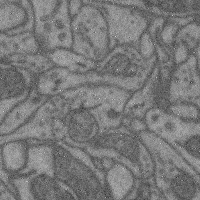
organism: Mouse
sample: Cerebral cortex